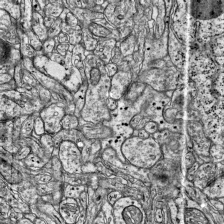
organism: Mouse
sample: Visual Cortex